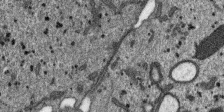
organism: Human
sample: Lung epithelial cells infected with SARS-CoV-2